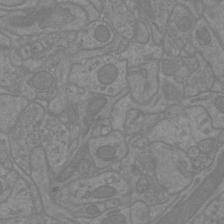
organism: Mouse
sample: Cortical neurons